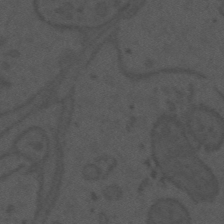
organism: Mouse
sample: Suprachiasmatic nucleus